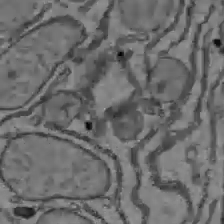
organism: C57BL Mouse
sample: Liver